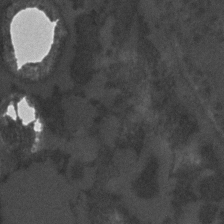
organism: C. elegans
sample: C. elegans embryo